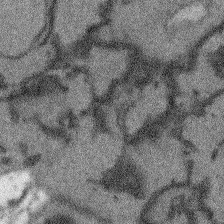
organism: Arabidopsis thaliana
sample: Root tip